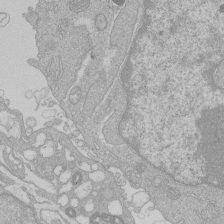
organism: Human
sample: Macrophage cells